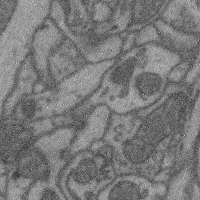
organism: Mouse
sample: Cerebral cortex